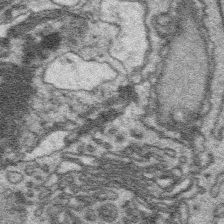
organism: Platynereis dumerilii